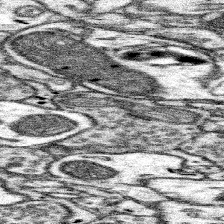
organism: Mouse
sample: Somatosensory cortex neuropil